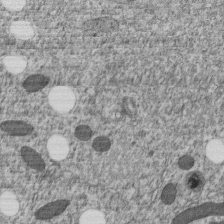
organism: C. elegans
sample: C. elegans embryo early stage